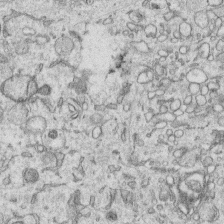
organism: Human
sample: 1205lu cells